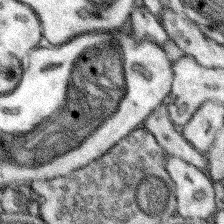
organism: Mouse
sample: Somatosensory cortex neuropil